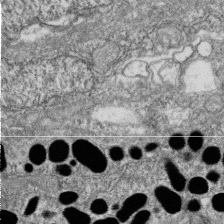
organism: Zebrafish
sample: Cilia; retinal pigment epithelium